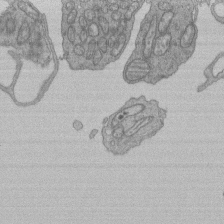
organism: Human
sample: Retinal organoid Rod and Cone cells